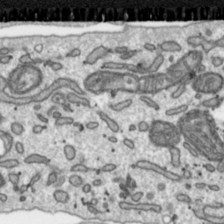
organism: Toxoplasma gondii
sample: Parasites in a vacuole inside a host cell